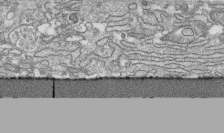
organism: Human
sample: CRL-1474